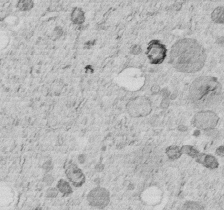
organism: C. elegans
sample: C. elegans embryo early stage